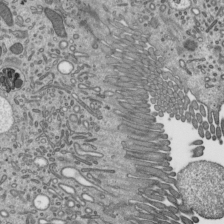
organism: Mouse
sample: Mouse epididymis efferent ductule cilia